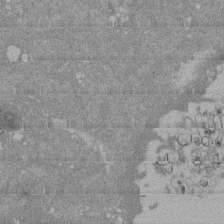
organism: Mouse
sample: ED-1 cell nuclei; centrioles